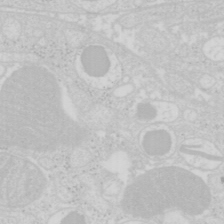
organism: Mouse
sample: Pancreas